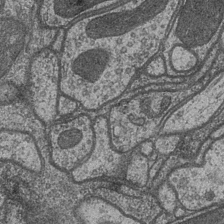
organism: Drosophila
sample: Optic medulla